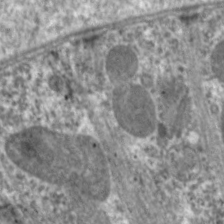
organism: C. elegans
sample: Pharynx